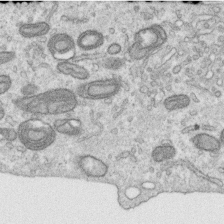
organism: Human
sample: Centriole in RPE cells